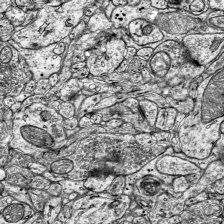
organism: Mouse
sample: Visual Cortex